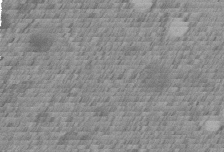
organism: C. elegans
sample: C. elegans embryo early stage